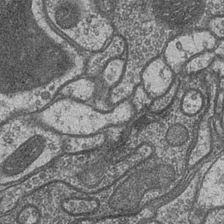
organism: Drosophila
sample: Optic medulla